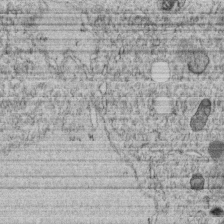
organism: C. elegans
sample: C. elegans embryo early stage